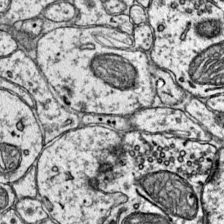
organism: Mouse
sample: Primary visual cortex